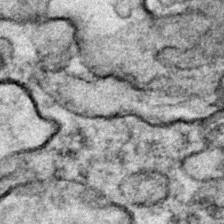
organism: Zebrafish